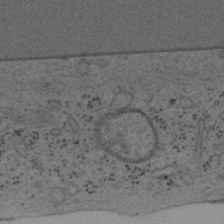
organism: Human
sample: HeLa cells